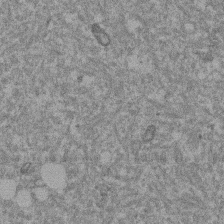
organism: Mouse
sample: Dividing mouse embryo 1 cell stage